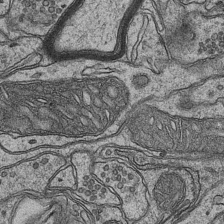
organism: Mouse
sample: CA1 Hippocampus